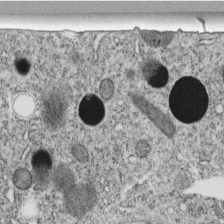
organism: C. elegans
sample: C. elegans embryo early stage